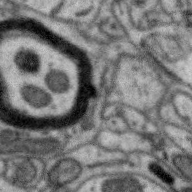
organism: Zebra finch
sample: Brain